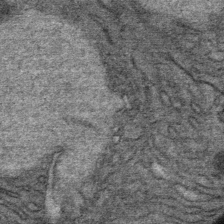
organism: Mouse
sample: Mouse Salivary gland